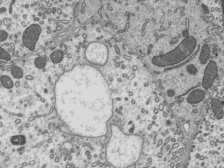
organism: Mouse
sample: Mouse epididymis efferent ductule cilia